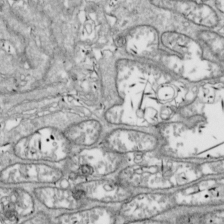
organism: Drosophila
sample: Cell division; meiosis; drosophila spermatocytes